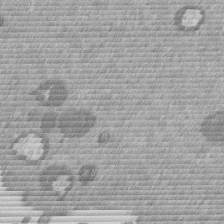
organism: Mouse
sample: Dividing mouse embryo 1 cell stage